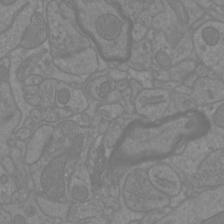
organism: Mouse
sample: Cortical neurons